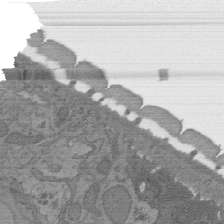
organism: C. elegans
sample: AFD neurons C. elegans